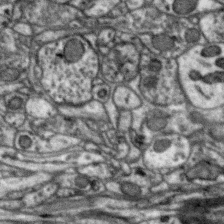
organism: Zebra finch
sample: Brain